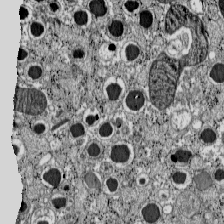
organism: C57BL Mouse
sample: Pancreatic islet